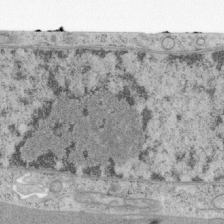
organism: Human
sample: HeLa cells